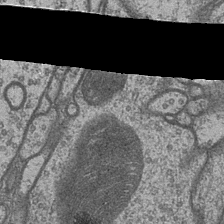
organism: Drosophila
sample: Optic medulla